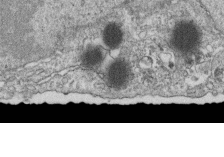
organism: Human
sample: HeLa cell HIV synapse